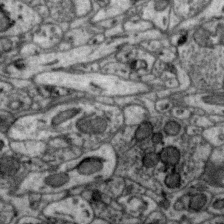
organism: Zebra finch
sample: Brain